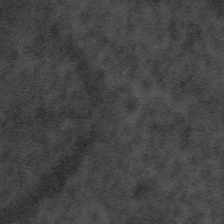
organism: Tuwongella immobilis